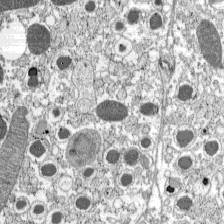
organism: C57BL Mouse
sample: Pancreatic islet